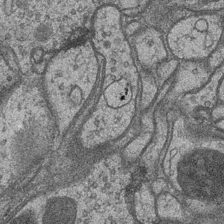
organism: Drosophila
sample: Optic medulla